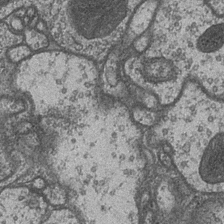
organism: Drosophila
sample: Optic medulla